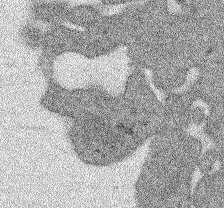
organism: Human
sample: HeLa cells